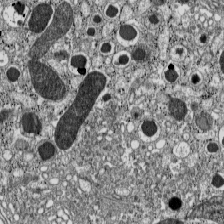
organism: C57BL Mouse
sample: Pancreatic islet